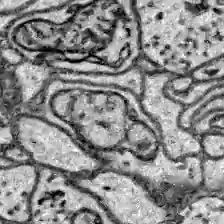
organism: Zebrafish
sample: Brain